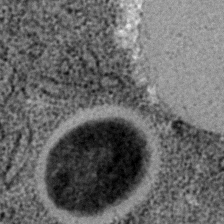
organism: C. elegans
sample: C. elegans embryo